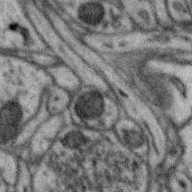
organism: Zebra finch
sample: Brain